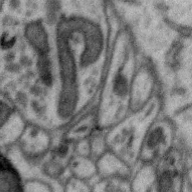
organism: Zebra finch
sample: Brain